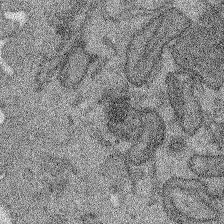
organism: Human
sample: HeLa cells